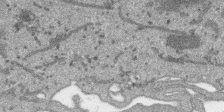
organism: Human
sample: Lung epithelial cells infected with SARS-CoV-2